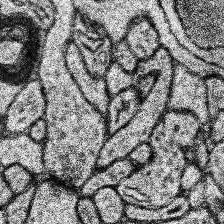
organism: Human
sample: Temporal Lobe